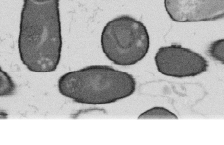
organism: B. subtilis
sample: Bacterial spore